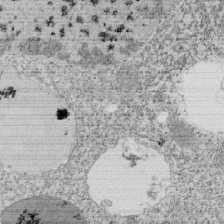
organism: Tetrahymena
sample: Cilia in tetrahymena